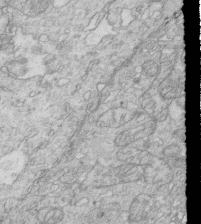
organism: Mouse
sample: Multiciliated cells